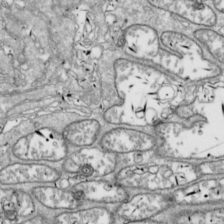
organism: Drosophila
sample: Cell division; meiosis; drosophila spermatocytes